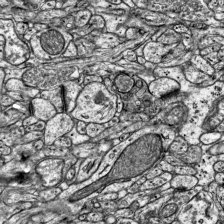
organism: Mouse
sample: Visual Cortex